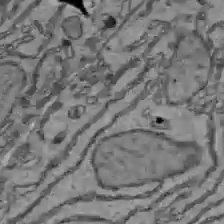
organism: C57BL Mouse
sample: Liver